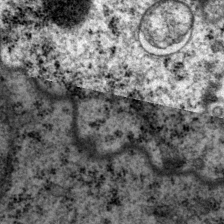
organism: P. pacificus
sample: Pharynx